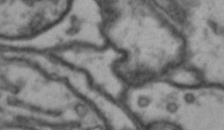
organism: Drosophila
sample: Brain